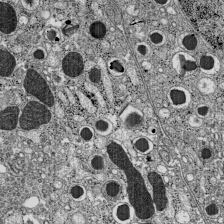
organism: C57BL Mouse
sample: Pancreatic islet